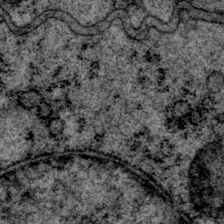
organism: P. pacificus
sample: Pharynx